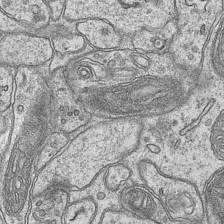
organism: Mouse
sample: CA1 Hippocampus